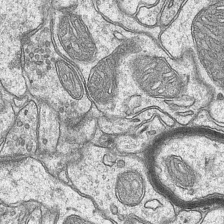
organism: Mouse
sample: CA1 Hippocampus